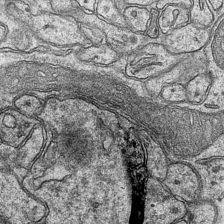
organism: Mouse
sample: CA1 Hippocampus